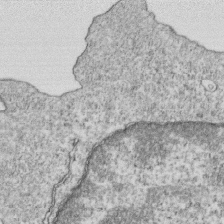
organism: Mouse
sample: Activated OT-1 CD8+ T cells